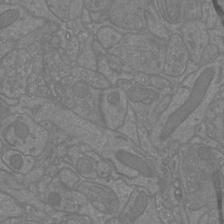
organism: Mouse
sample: Cortical neurons